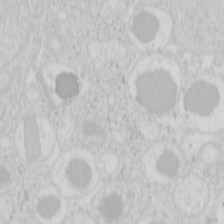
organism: Mouse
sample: Pancreas